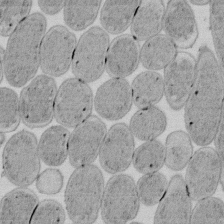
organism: E. coli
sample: Bacterial nucleoid